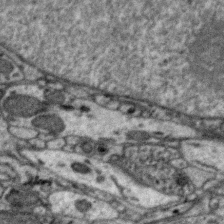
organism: Zebra finch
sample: Brain